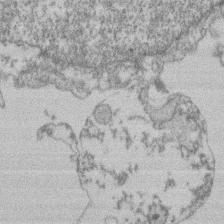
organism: Mouse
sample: T cell stromal cell synapse